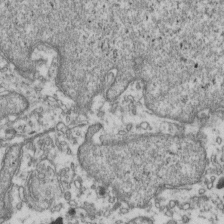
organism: Human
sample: Activated Jurkat CD4+ T cells